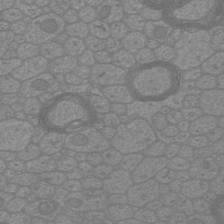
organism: Mouse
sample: Cortical neurons